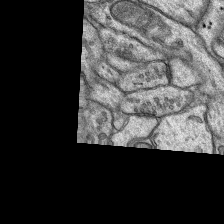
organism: Rat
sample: Hippocampus